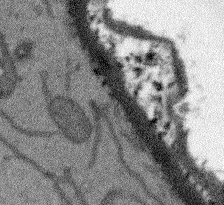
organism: Arabidopsis thaliana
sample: Root tip